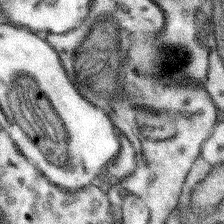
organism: Mouse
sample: Somatosensory cortex neuropil